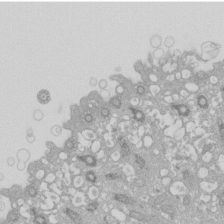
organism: Xenopus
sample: Cilia; centrioles in frog embryo cells